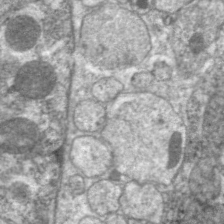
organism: C. elegans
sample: Pharynx